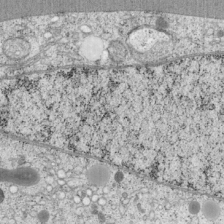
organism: African green monkey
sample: COS-7 cells